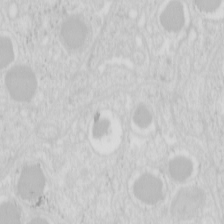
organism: Mouse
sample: Pancreas